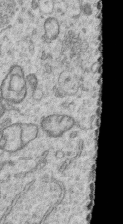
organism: Human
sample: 1205lu cells